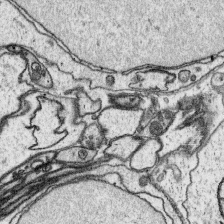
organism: Platynereis dumerilii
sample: Parapodia